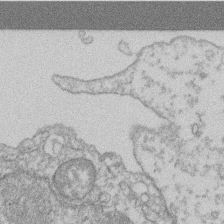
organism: Mouse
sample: T cell stromal cell synapse